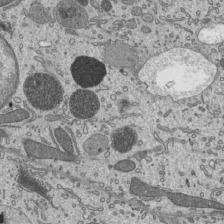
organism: Mouse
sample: Mouse epididymis efferent ductule cilia